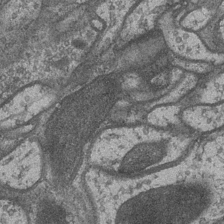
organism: Drosophila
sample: Optic medulla